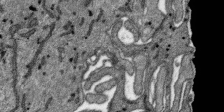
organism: Human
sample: Lung epithelial cells, uninfected (mock) control